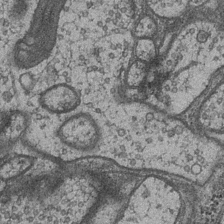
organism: Drosophila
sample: Optic medulla